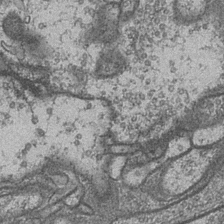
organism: Drosophila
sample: Optic medulla